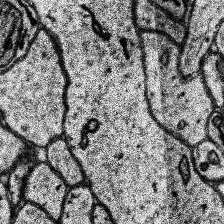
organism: Human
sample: Temporal Lobe